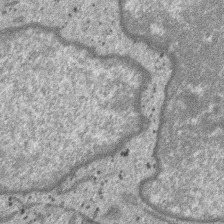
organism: Human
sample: Lung epithelial cells infected with SARS-CoV-2